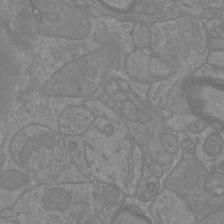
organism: Mouse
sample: Cortical neurons